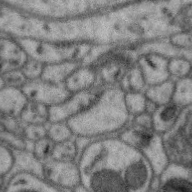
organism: Zebra finch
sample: Brain